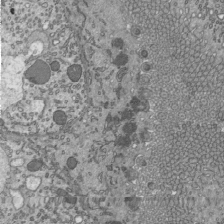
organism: Mouse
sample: Mouse epididymis efferent ductule cilia